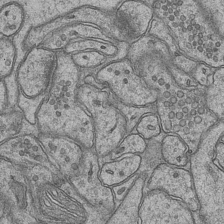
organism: Mouse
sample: CA1 Hippocampus